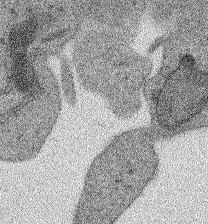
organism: Human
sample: HeLa cells